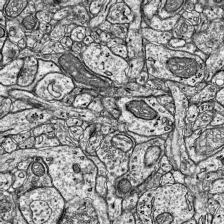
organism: Mouse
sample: Visual Cortex